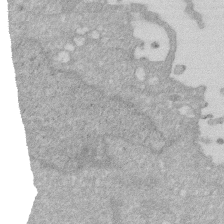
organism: Human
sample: HIV infected U937 cells